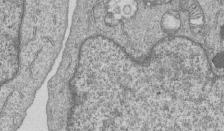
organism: Human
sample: MDA-MB-231 cells